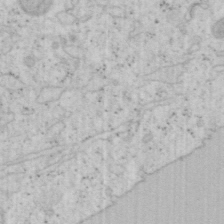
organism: Human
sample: HeLa cells